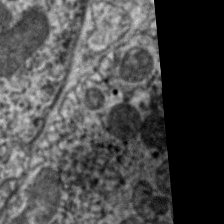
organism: C. elegans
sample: Pharynx